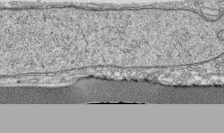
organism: Human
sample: CRL-1474